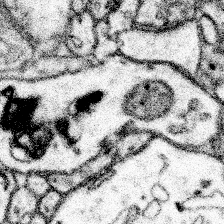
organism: Mouse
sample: Somatosensory cortex neuropil